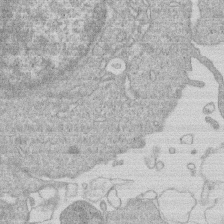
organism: Human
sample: Macrophage cells